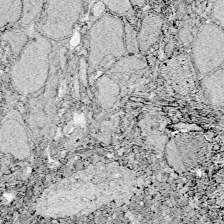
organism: Zebrafish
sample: Whole-Brain